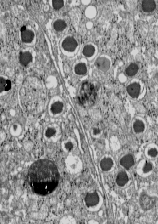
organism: C57BL Mouse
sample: Pancreatic islet